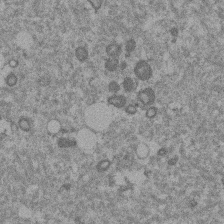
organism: Mouse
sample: Dividing mouse embryo 1 cell stage